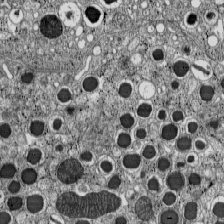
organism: C57BL Mouse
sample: Pancreatic islet